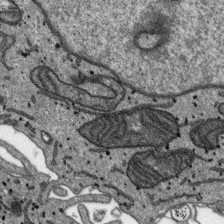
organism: Human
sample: Lung epithelial cells, uninfected (mock) control